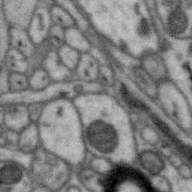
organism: Zebra finch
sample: Brain